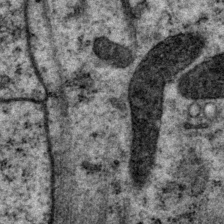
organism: P. pacificus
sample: Pharynx